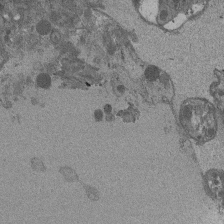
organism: Drosophila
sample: Antenna